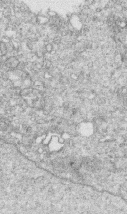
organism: Human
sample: HeLa cell HIV synapse